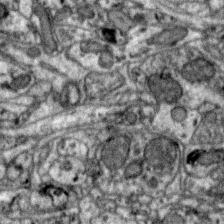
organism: Zebra finch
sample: Brain